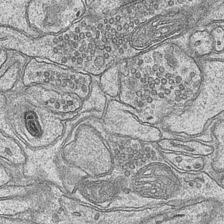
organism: Mouse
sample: CA1 Hippocampus